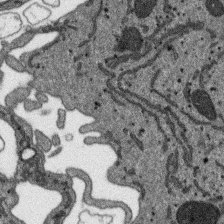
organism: Human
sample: Lung epithelial cells infected with SARS-CoV-2